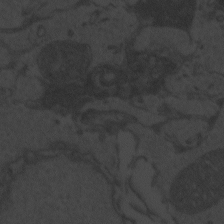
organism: Zebrafish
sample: Macrophage infected with Toxoplasma gondii